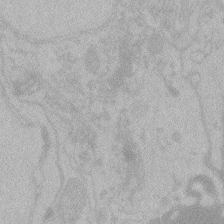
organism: Zebrafish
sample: Macrophage infected with Toxoplasma gondii